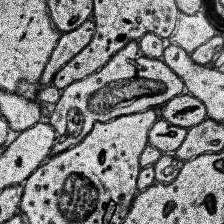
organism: Human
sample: Temporal Lobe